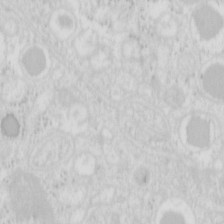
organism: Mouse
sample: Pancreas